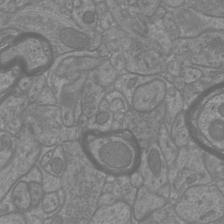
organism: Mouse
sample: Cortical neurons